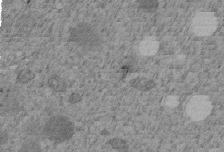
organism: C. elegans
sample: C. elegans embryo early stage